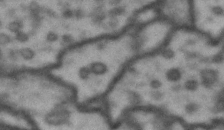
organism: Drosophila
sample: Brain